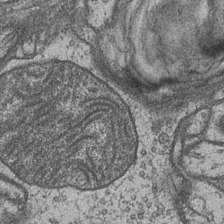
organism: Drosophila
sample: Optic medulla